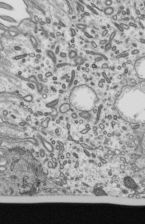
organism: Mouse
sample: Mouse epididymis efferent ductule cilia